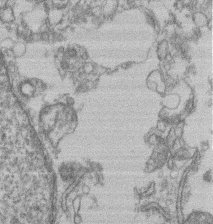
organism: Mouse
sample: T cell stromal cell synapse